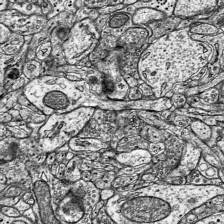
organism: Mouse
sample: Visual Cortex